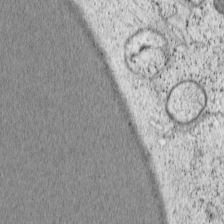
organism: African green monkey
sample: COS-7 cells